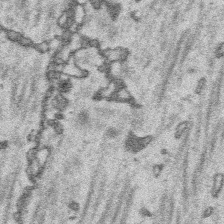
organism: Platynereis dumerilii